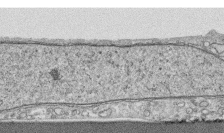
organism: Human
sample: CRL-1474